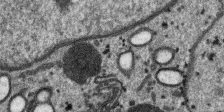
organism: Human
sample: Lung epithelial cells infected with SARS-CoV-2